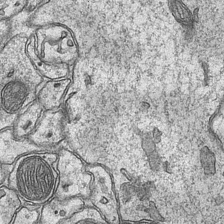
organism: Mouse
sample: CA1 Hippocampus